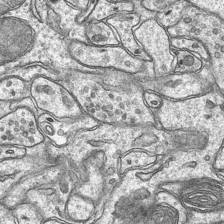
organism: Mouse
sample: CA1 Hippocampus